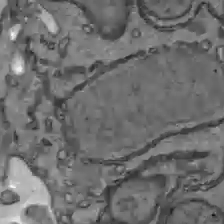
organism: C57BL Mouse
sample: Liver